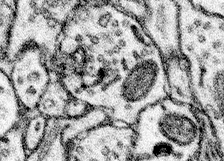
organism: Mouse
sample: Somatosensory cortex neuropil